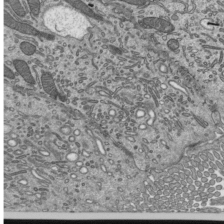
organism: Mouse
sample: Mouse epididymis efferent ductule cilia